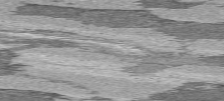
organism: C57BL Mouse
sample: Heart